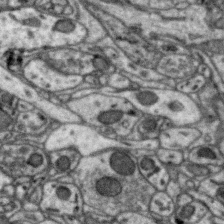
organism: Zebra finch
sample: Brain